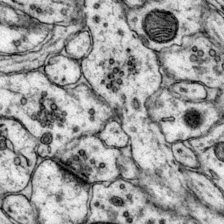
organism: Mouse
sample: Primary visual cortex